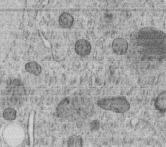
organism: C. elegans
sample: C. elegans embryo early stage